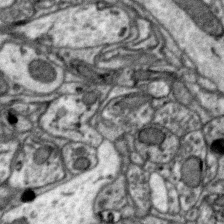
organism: Zebra finch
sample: Brain